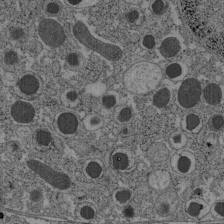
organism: C57BL Mouse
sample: Pancreatic islet